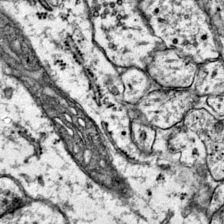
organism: Mouse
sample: Primary visual cortex